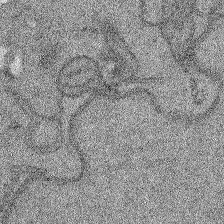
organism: Human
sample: HeLa cells